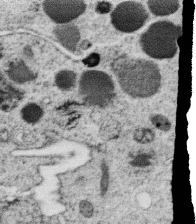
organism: C. elegans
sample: C. elegans oocyte; sperm cells